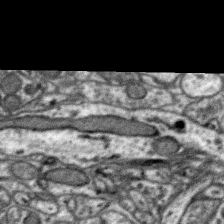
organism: Zebra finch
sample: Brain